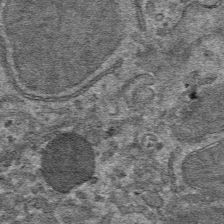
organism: Mouse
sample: Mouse hepatocytes